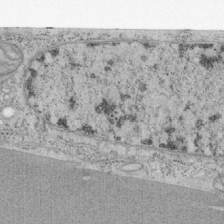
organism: Human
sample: HeLa cells